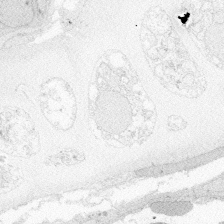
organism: Zebrafish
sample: Whole-Brain